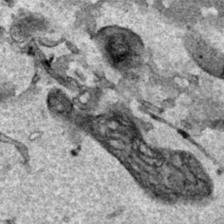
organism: Human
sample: Mitochondria in HCT116 cells